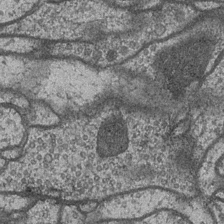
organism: Drosophila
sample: Optic medulla